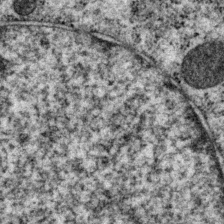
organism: P. pacificus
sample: Pharynx